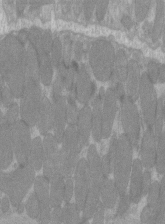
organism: C57BL Mouse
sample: Tibialis anterior muscle cell